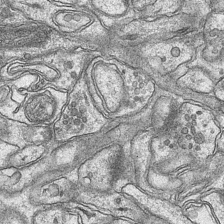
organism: Mouse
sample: CA1 Hippocampus